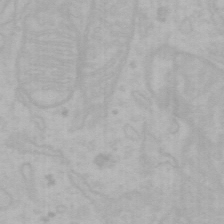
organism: Mouse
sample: Choroid plexus